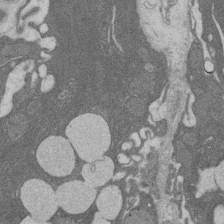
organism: Rat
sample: Salivary granule